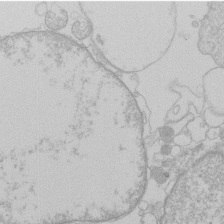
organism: Human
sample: Macrophage cells